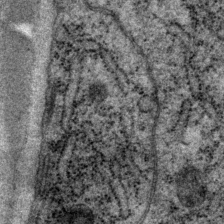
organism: P. pacificus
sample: Pharynx